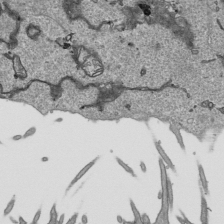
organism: Human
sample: Mitochondria in HCT116 cells